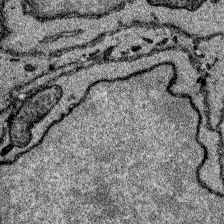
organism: Zebrafish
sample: Larval olfactory bulb